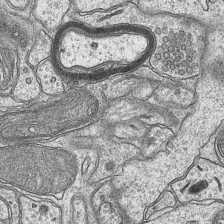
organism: Mouse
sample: CA1 Hippocampus